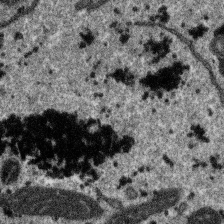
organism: Human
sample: Lung epithelial cells infected with SARS-CoV-2